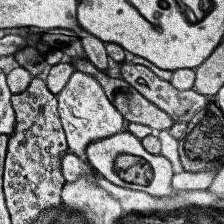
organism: Human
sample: Temporal Lobe